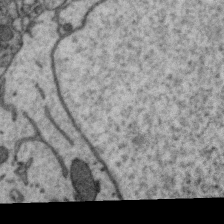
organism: Zebra finch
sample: Brain